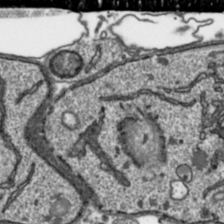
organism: Toxoplasma gondii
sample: Parasites in a vacuole inside a host cell